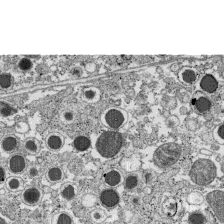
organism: C57BL Mouse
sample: Pancreatic islet